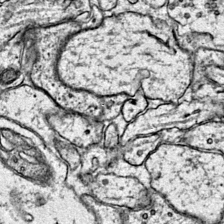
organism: Mouse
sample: Primary visual cortex